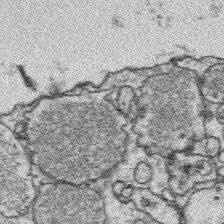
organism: Platynereis dumerilii